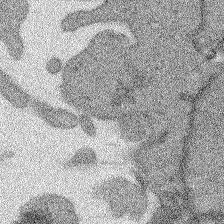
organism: Human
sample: HeLa cells